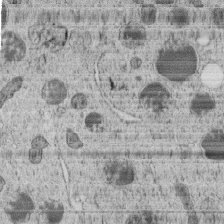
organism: C. elegans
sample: C. elegans embryo early stage